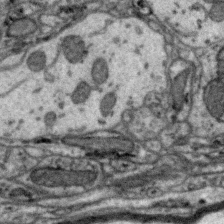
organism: Zebra finch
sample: Brain